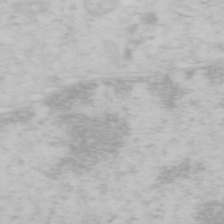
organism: Mouse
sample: OT-I killer T cells with ID8 ovarian cancer cells